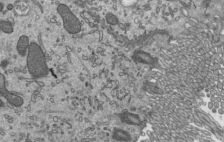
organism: Mouse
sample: Mouse epididymis efferent ductule cilia